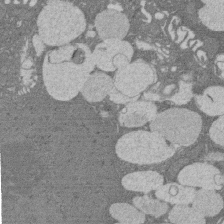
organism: Rat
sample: Salivary granule